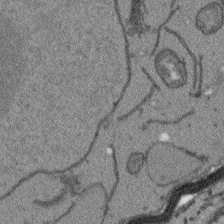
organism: Arabidopsis thaliana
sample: Root tip